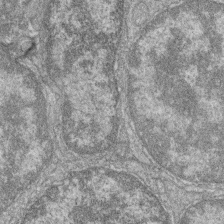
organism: Zebrafish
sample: Cilia; retinal pigment epithelium